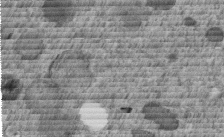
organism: C. elegans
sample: C. elegans embryo early stage